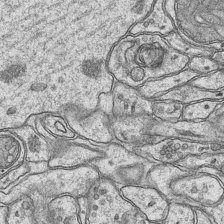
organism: Mouse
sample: CA1 Hippocampus